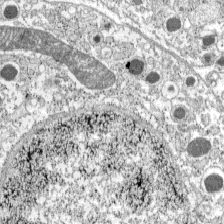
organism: C57BL Mouse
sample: Pancreatic islet